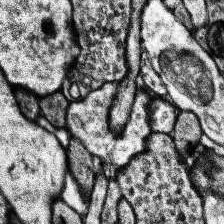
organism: Human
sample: Temporal Lobe